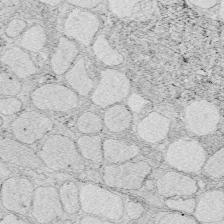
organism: Zebrafish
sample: Whole-Brain